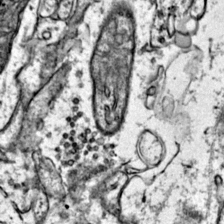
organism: Mouse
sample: Primary visual cortex